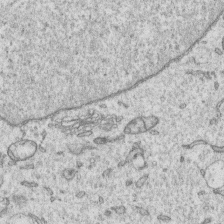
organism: Human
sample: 1205lu cells